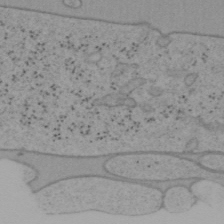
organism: Human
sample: HeLa cells